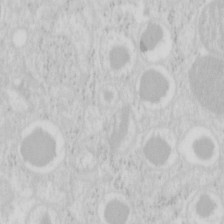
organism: Mouse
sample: Pancreas